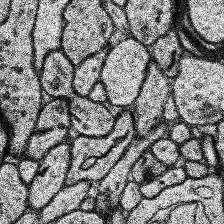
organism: Human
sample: Temporal Lobe